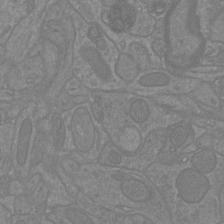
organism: Mouse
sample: Cortical neurons